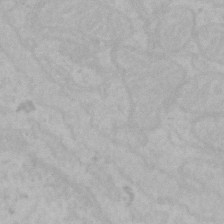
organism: Mouse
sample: Choroid plexus